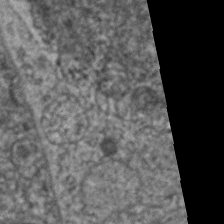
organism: C. elegans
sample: Pharynx